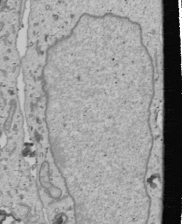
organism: Human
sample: Mitochondria in U2OS cells